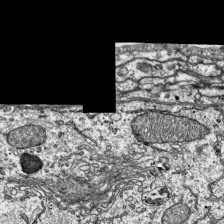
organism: Mouse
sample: Visual Cortex